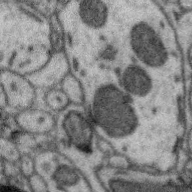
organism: Zebra finch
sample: Brain